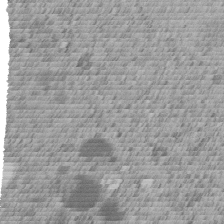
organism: C. elegans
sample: C. elegans embryo early stage